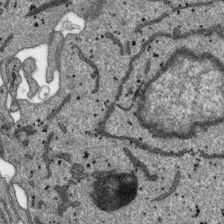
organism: Human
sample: Lung epithelial cells, uninfected (mock) control